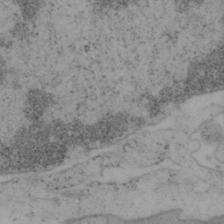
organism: Mouse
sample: OT-I killer T cells with ID8 ovarian cancer cells